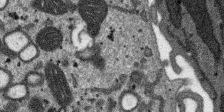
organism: Human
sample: Lung epithelial cells infected with SARS-CoV-2